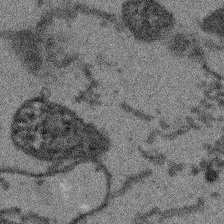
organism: Arabidopsis thaliana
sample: Root tip